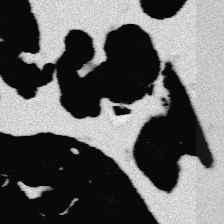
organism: Platynereis dumerilii